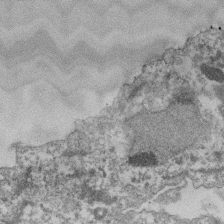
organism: Dictyostelium discoideum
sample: Dictyostelium multivesicular bodies